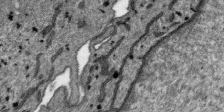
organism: Human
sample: Lung epithelial cells, uninfected (mock) control